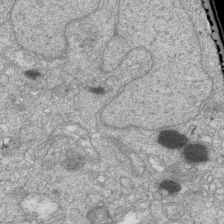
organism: Human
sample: HeLa cell HIV synapse